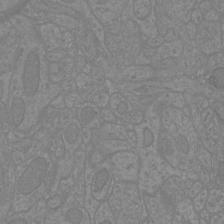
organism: Mouse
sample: Cortical neurons